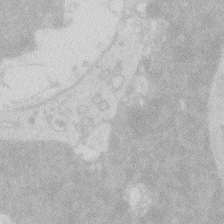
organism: Zebrafish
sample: Macrophage